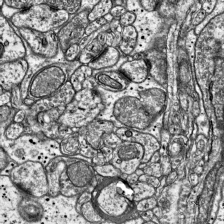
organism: Mouse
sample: Visual Cortex